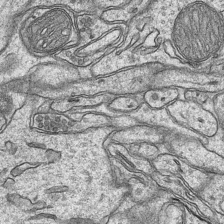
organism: Mouse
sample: CA1 Hippocampus